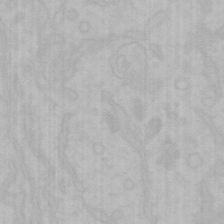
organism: Mouse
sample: Choroid plexus